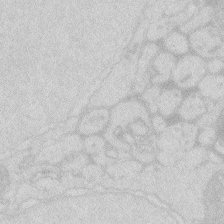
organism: Zebrafish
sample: Macrophage